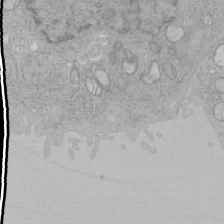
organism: Human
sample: Mitochondria in HCT116 cells